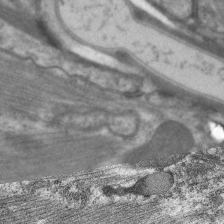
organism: C. elegans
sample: Pharynx